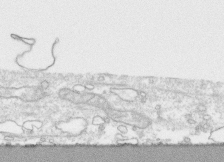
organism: Human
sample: CRL-1474